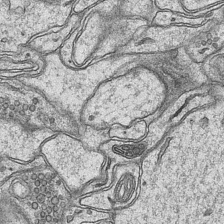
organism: Mouse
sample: CA1 Hippocampus